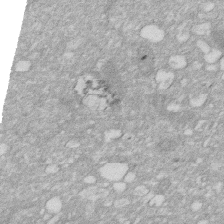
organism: Human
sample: HIV infected U937 cells